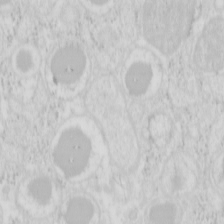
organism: Mouse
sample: Pancreas